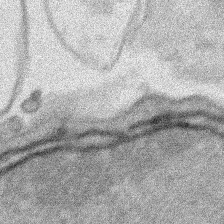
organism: Human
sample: Mitochondria in HCT116 cells